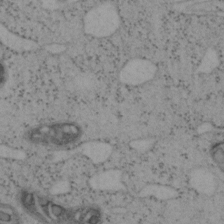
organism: Mouse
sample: OT-I killer T cells with ID8 ovarian cancer cells